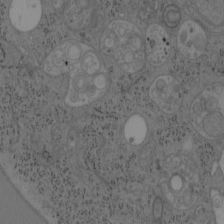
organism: Mouse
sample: OT-I killer T cells with ID8 ovarian cancer cells